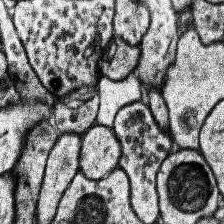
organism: Human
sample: Temporal Lobe